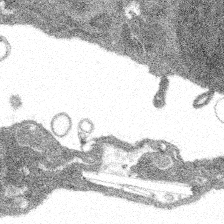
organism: Spongilla lacustris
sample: Multiple